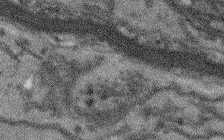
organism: Arabidopsis thaliana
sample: Root tip